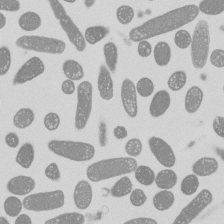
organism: E. coli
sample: Bacterial nucleoid